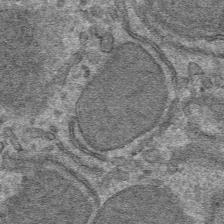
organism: Mouse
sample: Mouse hepatocytes